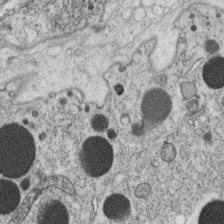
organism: C. elegans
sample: C. elegans oocyte; sperm cells